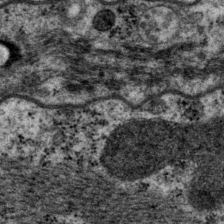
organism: P. pacificus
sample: Pharynx